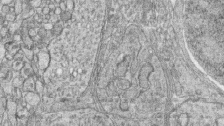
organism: Zebrafish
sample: synaptic ribbons in rod cells and cone cells